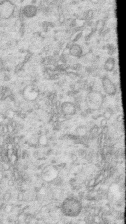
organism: Human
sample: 1205lu cells